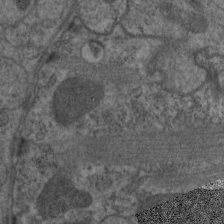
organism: C. elegans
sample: Pharynx